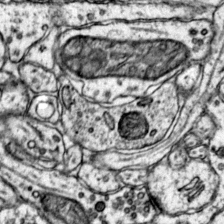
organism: Mouse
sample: Primary visual cortex